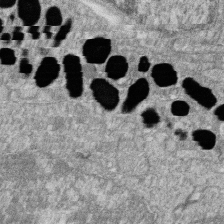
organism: Zebrafish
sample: Cilia; retinal pigment epithelium